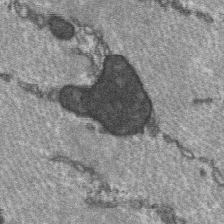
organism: C57BL Mouse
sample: Soleus